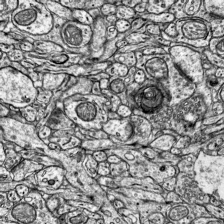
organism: Mouse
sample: Visual Cortex